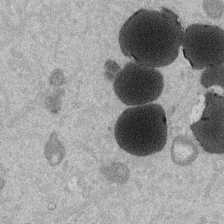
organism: Mouse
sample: Dividing mouse embryo 1 cell stage